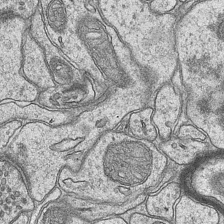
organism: Mouse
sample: CA1 Hippocampus